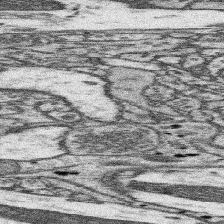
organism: Mouse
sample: Somatosensory cortex neuropil